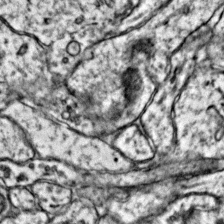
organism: Mouse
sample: Primary visual cortex